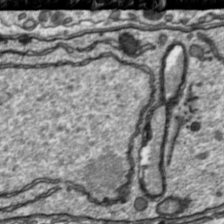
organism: Toxoplasma gondii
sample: Parasites in a vacuole inside a host cell